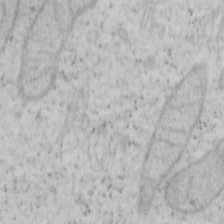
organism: Human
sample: HeLa cells